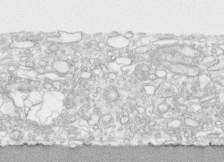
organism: Human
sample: CRL-1474